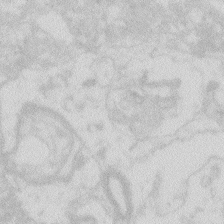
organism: Zebrafish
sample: Macrophage